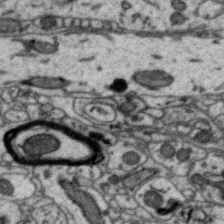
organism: Zebra finch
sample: Brain